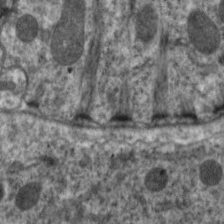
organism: C. elegans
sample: Pharynx